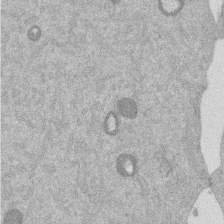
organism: Mouse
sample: Dividing mouse embryo 1 cell stage